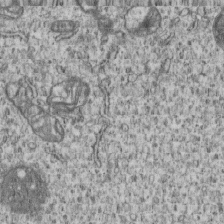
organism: Human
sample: MDA-MB-231 cells